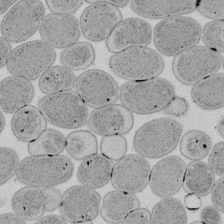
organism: E. coli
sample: Bacterial nucleoid